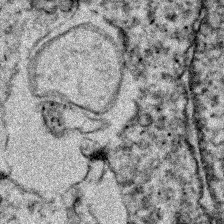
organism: Zebrafish